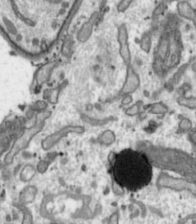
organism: Toxoplasma gondii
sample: Parasites in a vacuole inside a host cell